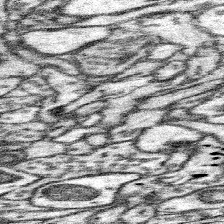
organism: Mouse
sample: Somatosensory cortex neuropil